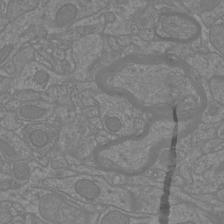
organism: Mouse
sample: Cortical neurons